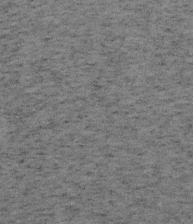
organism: Mouse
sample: OT-I killer T cells with ID8 ovarian cancer cells